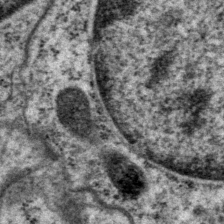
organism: P. pacificus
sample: Pharynx